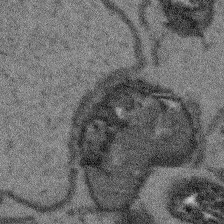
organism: Arabidopsis thaliana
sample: Root tip